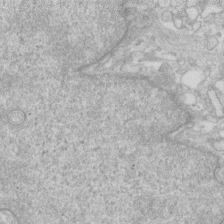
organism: Human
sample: Fibroblast cells